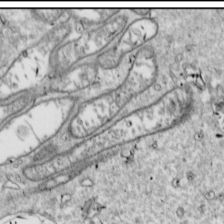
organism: Drosophila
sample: Cell division; meiosis; drosophila spermatocytes